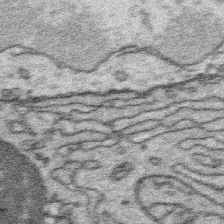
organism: Platynereis dumerilii